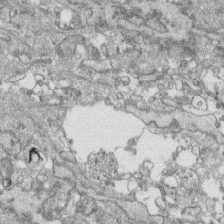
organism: Human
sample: CRL-1474